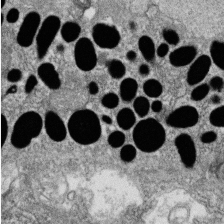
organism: Zebrafish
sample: Cilia; retinal pigment epithelium